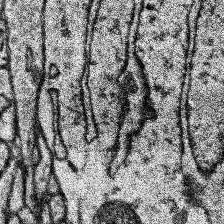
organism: Human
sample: Temporal Lobe